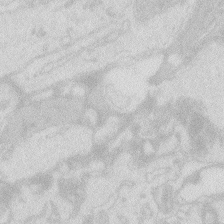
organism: Zebrafish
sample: Macrophage